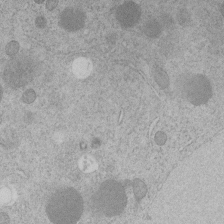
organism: C. elegans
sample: C. elegans embryo early stage